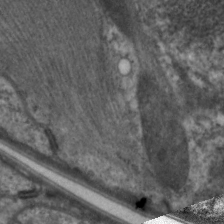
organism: C. elegans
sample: Pharynx